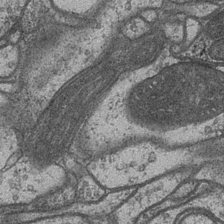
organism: Drosophila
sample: Optic medulla